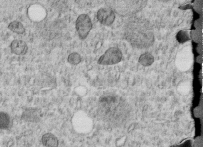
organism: C. elegans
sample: C. elegans embryo early stage